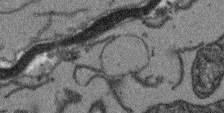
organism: Arabidopsis thaliana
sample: Root tip